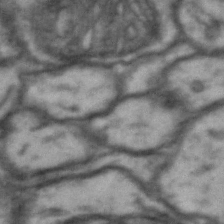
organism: Drosophila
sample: Brain